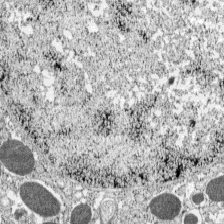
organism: C57BL Mouse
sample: Pancreatic islet